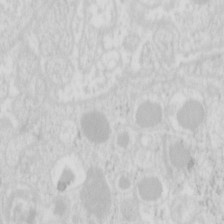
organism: Mouse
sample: Pancreas